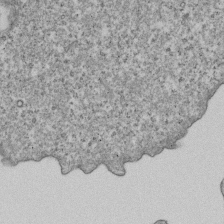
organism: Human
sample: MDA-MB-231 cells